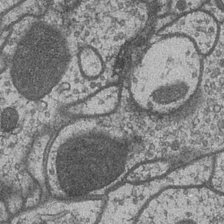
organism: Drosophila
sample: Optic medulla